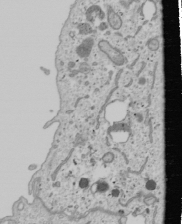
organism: Human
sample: Mitochondria in U2OS cells